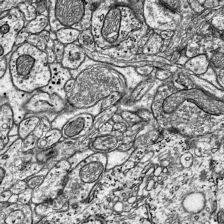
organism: Mouse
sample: Visual Cortex